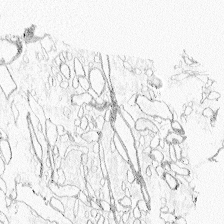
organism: Zebrafish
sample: Whole-Brain